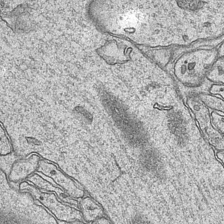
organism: Mouse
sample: CA1 Hippocampus